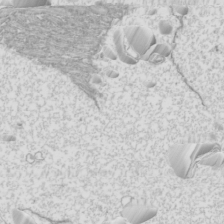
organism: Mouse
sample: Cilia; mouse epididymis